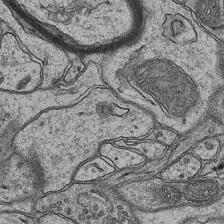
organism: Mouse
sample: CA1 Hippocampus